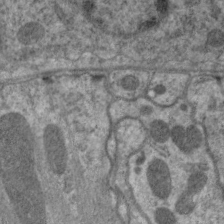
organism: C. elegans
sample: Pharynx